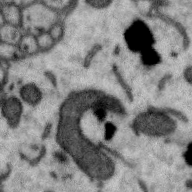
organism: Zebra finch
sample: Brain